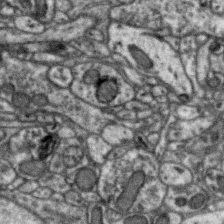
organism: Zebra finch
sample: Brain